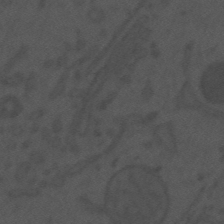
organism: Mouse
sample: Suprachiasmatic nucleus